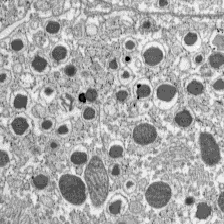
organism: C57BL Mouse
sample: Pancreatic islet